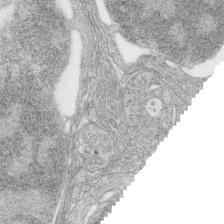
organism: Zebrafish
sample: synaptic ribbons in rod cells and cone cells